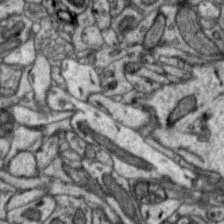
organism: Zebra finch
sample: Brain